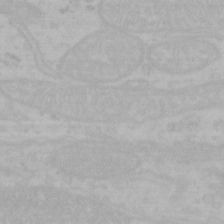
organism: Mouse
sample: Choroid plexus